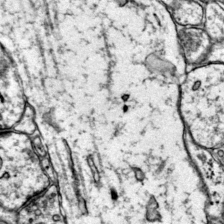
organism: Mouse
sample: Primary visual cortex